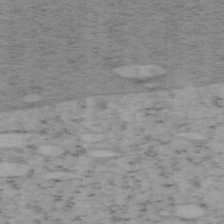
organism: Mouse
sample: OT-I killer T cells with ID8 ovarian cancer cells